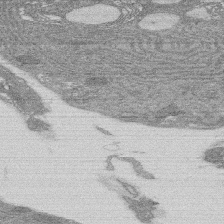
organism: Rat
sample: Salivary granule